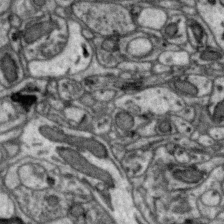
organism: Zebra finch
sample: Brain